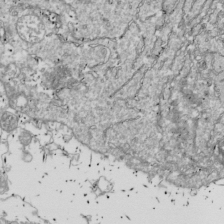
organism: Drosophila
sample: Cell division; meiosis; drosophila spermatocytes